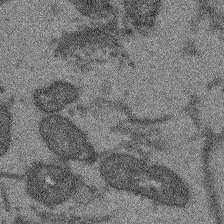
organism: Arabidopsis thaliana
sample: Root tip